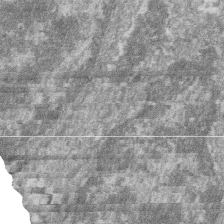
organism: Zebrafish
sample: Cilia; retinal pigment epithelium